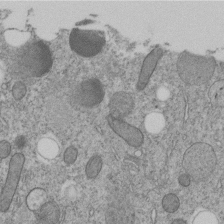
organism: C. elegans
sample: C. elegans embryo early stage